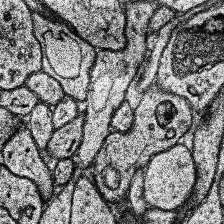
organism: Human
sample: Temporal Lobe